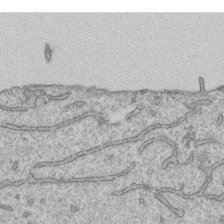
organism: Human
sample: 1205lu cells